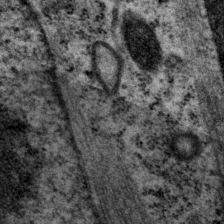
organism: P. pacificus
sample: Pharynx